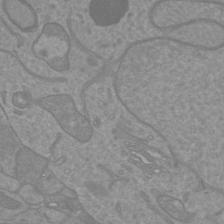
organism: Mouse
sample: Cortical neurons